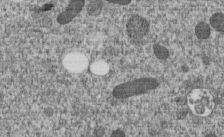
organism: C. elegans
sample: C. elegans embryo early stage